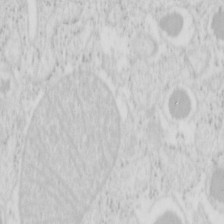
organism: Mouse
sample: Pancreas